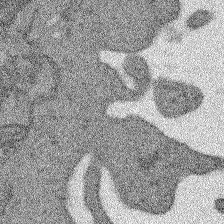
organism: Human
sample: HeLa cells